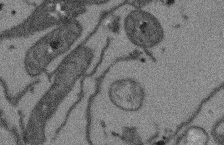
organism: Arabidopsis thaliana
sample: Root tip